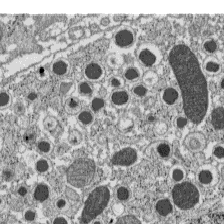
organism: C57BL Mouse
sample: Pancreatic islet